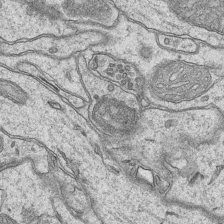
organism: Mouse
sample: CA1 Hippocampus